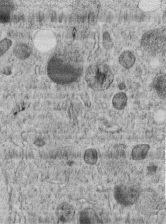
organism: C. elegans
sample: C. elegans embryo early stage